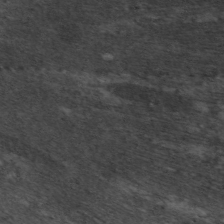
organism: C. elegans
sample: Pharynx